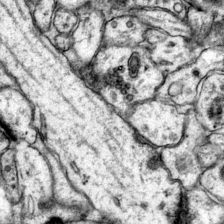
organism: Mouse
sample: Primary visual cortex